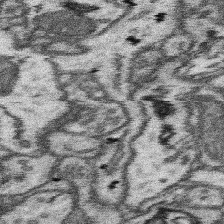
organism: Mouse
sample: Somatosensory cortex neuropil